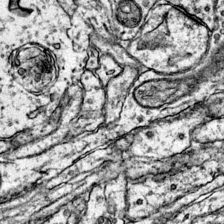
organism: Mouse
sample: Primary visual cortex